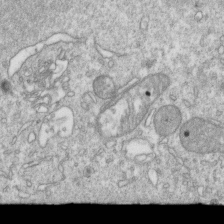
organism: Mouse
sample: Activated OT-1 CD8+ T cells